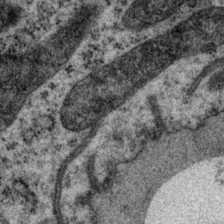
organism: P. pacificus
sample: Pharynx